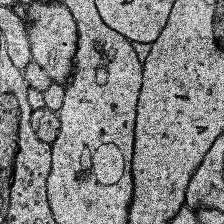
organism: Human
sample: Temporal Lobe